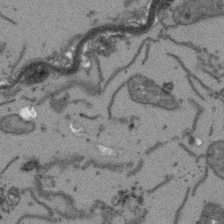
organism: Arabidopsis thaliana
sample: Root tip